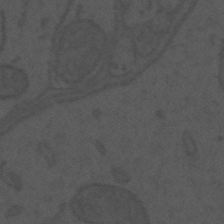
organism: Mouse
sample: Suprachiasmatic nucleus